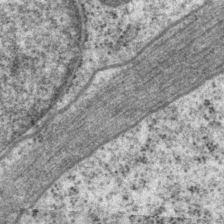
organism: P. pacificus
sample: Pharynx